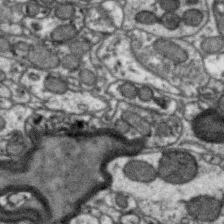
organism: Zebra finch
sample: Brain